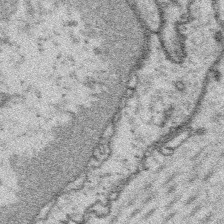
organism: Platynereis dumerilii